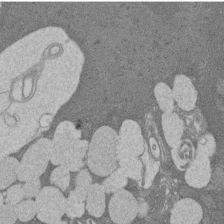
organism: Rat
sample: Salivary granule